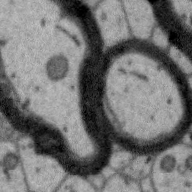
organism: Zebra finch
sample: Brain